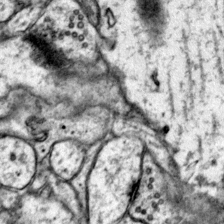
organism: Mouse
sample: Primary visual cortex